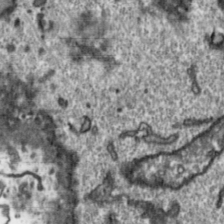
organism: Toxoplasma gondii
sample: Parasites in a vacuole inside a host cell